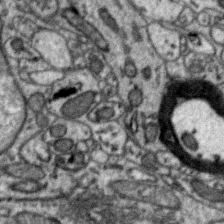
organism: Zebra finch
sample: Brain